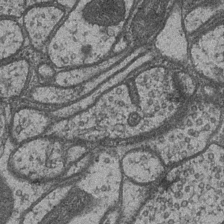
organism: Drosophila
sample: Optic medulla